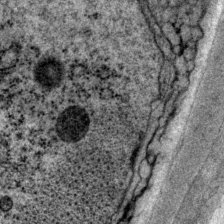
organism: P. pacificus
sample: Pharynx